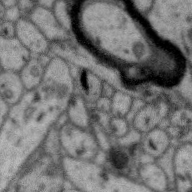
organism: Zebra finch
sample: Brain